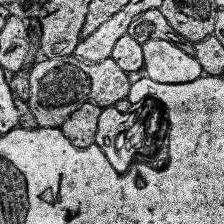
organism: Human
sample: Temporal Lobe